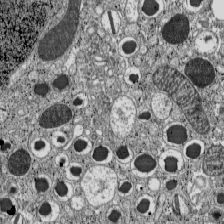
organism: C57BL Mouse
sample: Pancreatic islet